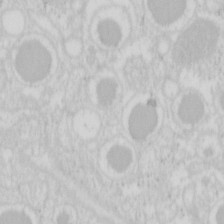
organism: Mouse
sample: Pancreas